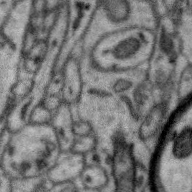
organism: Zebra finch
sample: Brain